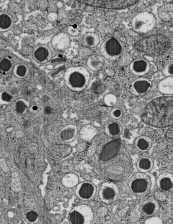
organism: C57BL Mouse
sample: Pancreatic islet